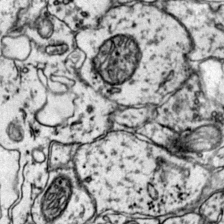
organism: Mouse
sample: Primary visual cortex